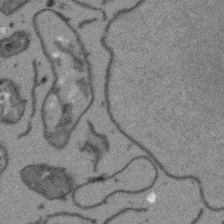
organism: Arabidopsis thaliana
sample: Root tip